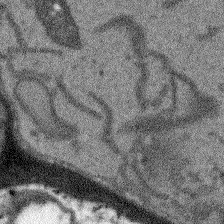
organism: Arabidopsis thaliana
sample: Root tip